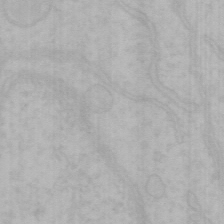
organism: Mouse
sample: Choroid plexus